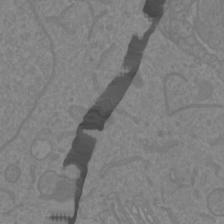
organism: Mouse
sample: Cortical neurons